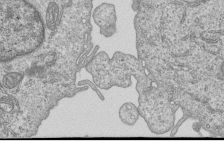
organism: Human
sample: MDA-MB-231 cells